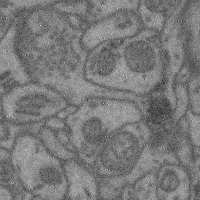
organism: Mouse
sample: Cerebral cortex